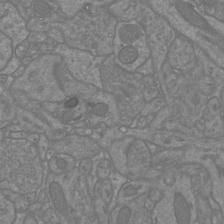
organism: Mouse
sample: Cortical neurons